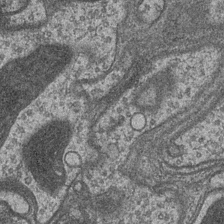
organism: Drosophila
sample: Optic medulla